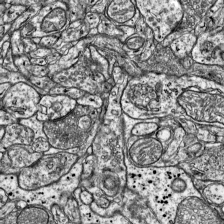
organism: Mouse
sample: Visual Cortex